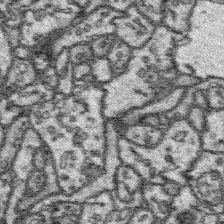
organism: Platynereis dumerilii